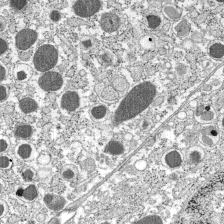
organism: C57BL Mouse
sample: Pancreatic islet